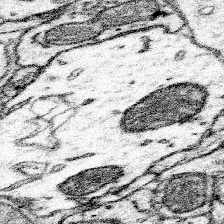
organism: Mouse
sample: Somatosensory cortex neuropil